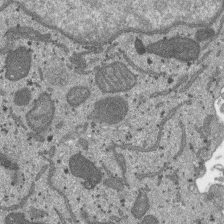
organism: Human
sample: Lung epithelial cells infected with SARS-CoV-2